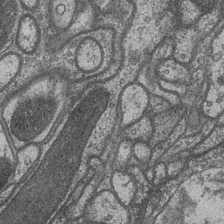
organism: Drosophila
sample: Optic medulla